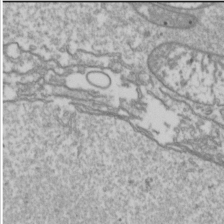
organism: Drosophila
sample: Cell division; meiosis; drosophila spermatocytes